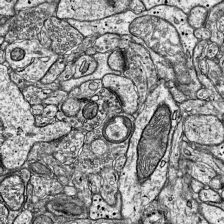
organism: Mouse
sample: Visual Cortex